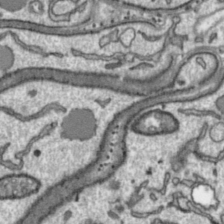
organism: Toxoplasma gondii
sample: Parasites in a vacuole inside a host cell